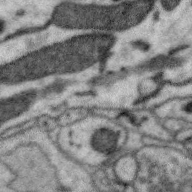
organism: Zebra finch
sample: Brain